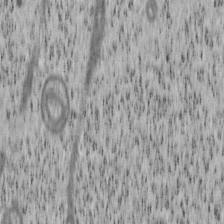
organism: Human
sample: HeLa cells